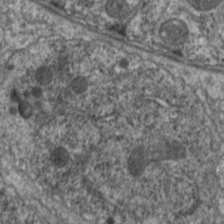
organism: C. elegans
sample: Pharynx